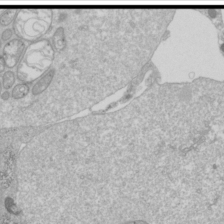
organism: Drosophila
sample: Cell division; meiosis; drosophila spermatocytes